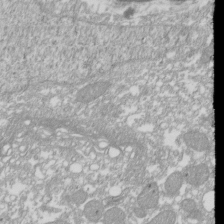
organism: Xenopus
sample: Cilia; centrioles in frog embryo cells